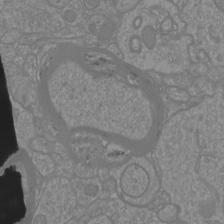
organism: Mouse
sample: Cortical neurons